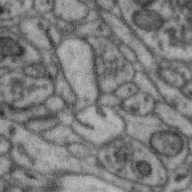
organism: Zebra finch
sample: Brain